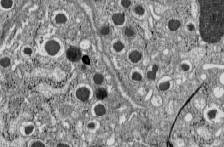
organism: C57BL Mouse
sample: Pancreatic islet